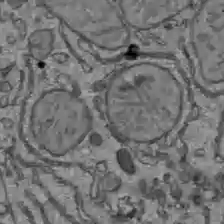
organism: C57BL Mouse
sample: Liver